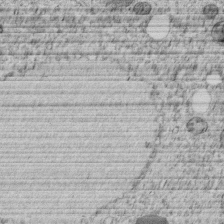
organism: C. elegans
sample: C. elegans embryo early stage